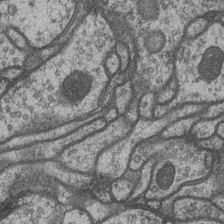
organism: Drosophila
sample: Optic medulla